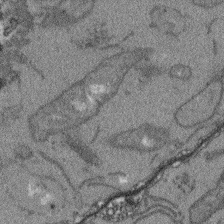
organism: Arabidopsis thaliana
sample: Root tip